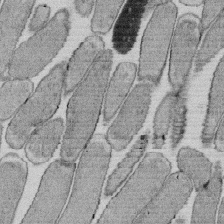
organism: E. coli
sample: Bacterial nucleoid